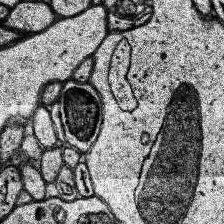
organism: Human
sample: Temporal Lobe